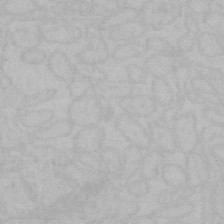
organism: Mouse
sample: Choroid plexus